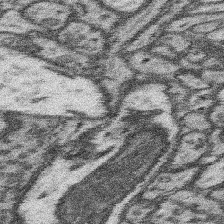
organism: Mouse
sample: Somatosensory cortex neuropil